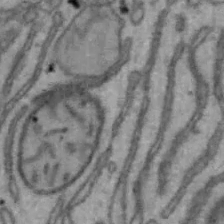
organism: Mouse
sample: Liver